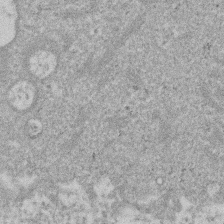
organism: Mouse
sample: Dividing mouse embryo 1 cell stage